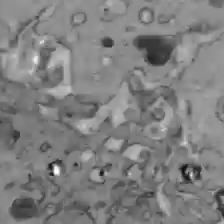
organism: C57BL Mouse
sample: Liver